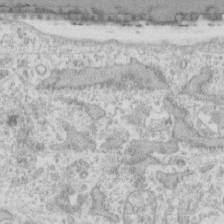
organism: Human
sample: Fibroblast cells